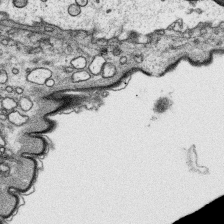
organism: Platynereis dumerilii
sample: Parapodia